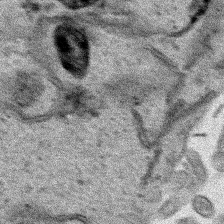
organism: Human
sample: Mitochondria in HCT116 cells